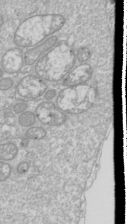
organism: Drosophila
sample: Cell division; meiosis; drosophila spermatocytes